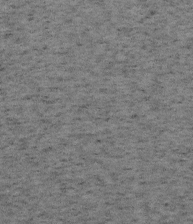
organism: Mouse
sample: OT-I killer T cells with ID8 ovarian cancer cells